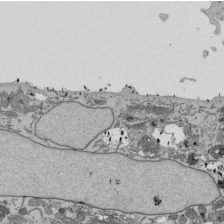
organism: Mouse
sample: ED-1 cell nuclei; centrioles